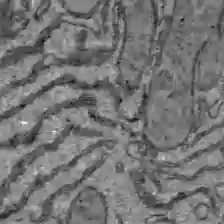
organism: C57BL Mouse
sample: Liver